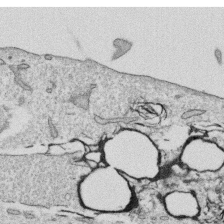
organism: Human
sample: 1205lu cells